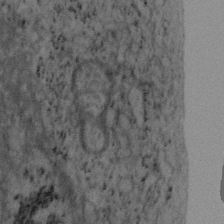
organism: Human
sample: HeLa cells